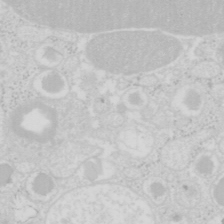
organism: Mouse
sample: Pancreas